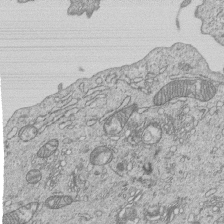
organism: Human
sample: MDA-MB-231 cells